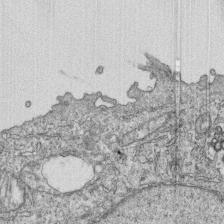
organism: Human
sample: HeLa cell HIV synapse